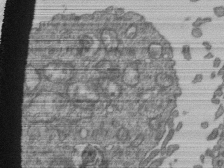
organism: Human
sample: Retinal organoid Rod and Cone cells